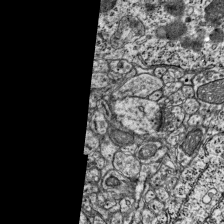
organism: Mouse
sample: Visual Cortex